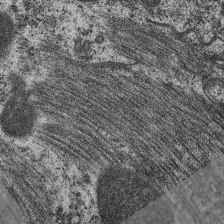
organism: C. elegans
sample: Pharynx